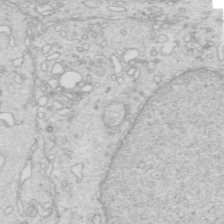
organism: Mouse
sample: Multiciliated cells